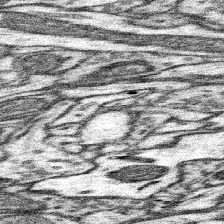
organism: Mouse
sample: Somatosensory cortex neuropil